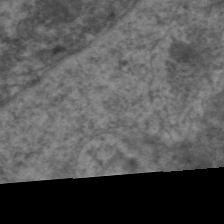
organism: C. elegans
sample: Pharynx